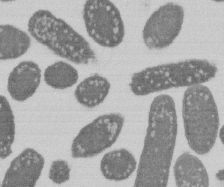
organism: E. coli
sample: Bacterial nucleoid